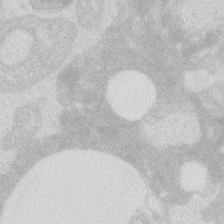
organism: Zebrafish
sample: Macrophage